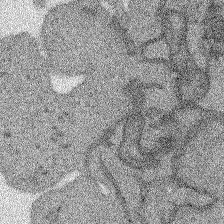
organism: Human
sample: HeLa cells